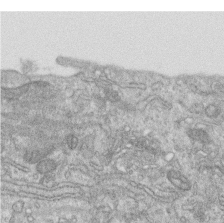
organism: Human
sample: Centriole in RPE cells